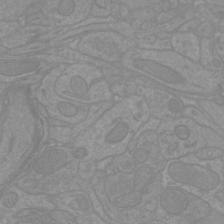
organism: Mouse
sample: Cortical neurons